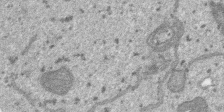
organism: Human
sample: Lung epithelial cells infected with SARS-CoV-2